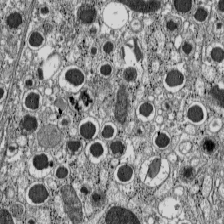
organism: C57BL Mouse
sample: Pancreatic islet